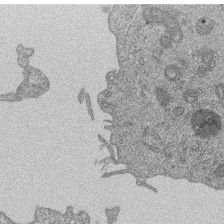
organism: Human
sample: MDA-MB-231 cells